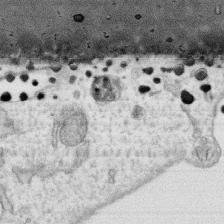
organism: Human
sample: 1205lu cells